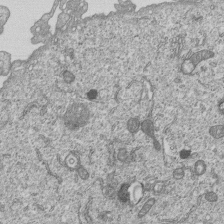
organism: Human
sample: MDA-MB-231 cells